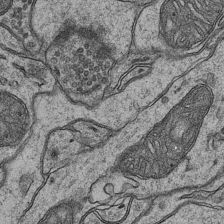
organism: Mouse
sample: CA1 Hippocampus